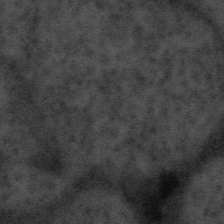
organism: Tuwongella immobilis